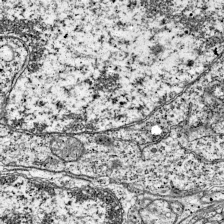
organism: Mouse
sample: Visual Cortex